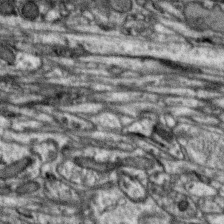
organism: Zebra finch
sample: Brain